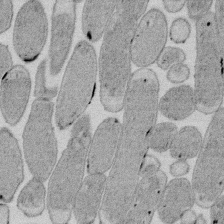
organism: E. coli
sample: Bacterial nucleoid